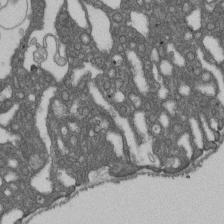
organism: Drosophila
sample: Nephrocyte